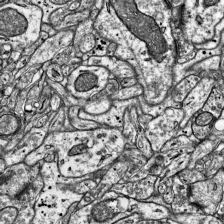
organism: Mouse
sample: Visual Cortex